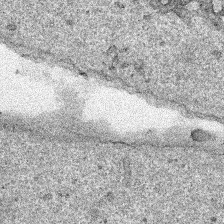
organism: Human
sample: Mitochondria in HCT116 cells